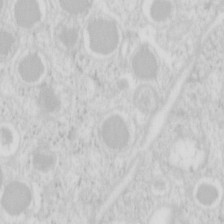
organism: Mouse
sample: Pancreas